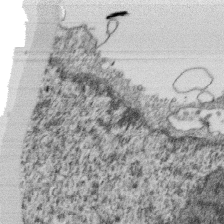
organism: African green monkey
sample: Vero E6 cells infected with SARS-CoV-2